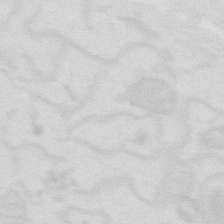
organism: Human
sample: HeLa cells